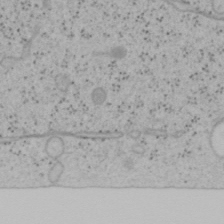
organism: Human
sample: HeLa cells